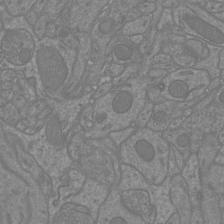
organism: Mouse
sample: Cortical neurons